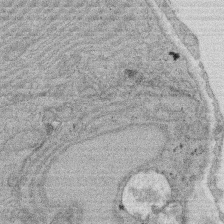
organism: Rat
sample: Salivary granule